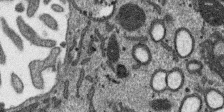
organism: Human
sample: Lung epithelial cells infected with SARS-CoV-2